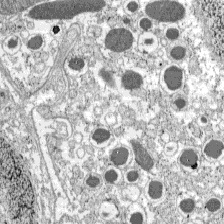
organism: C57BL Mouse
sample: Pancreatic islet